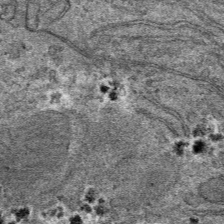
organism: Mouse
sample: Mouse hepatocytes